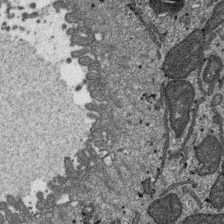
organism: Human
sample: Lung epithelial cells infected with SARS-CoV-2